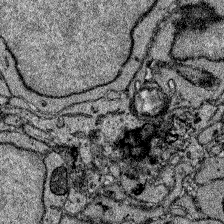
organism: Zebrafish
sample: Larval olfactory bulb